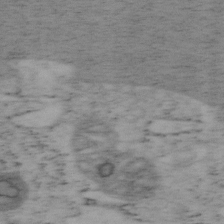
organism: Mouse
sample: OT-I killer T cells with ID8 ovarian cancer cells